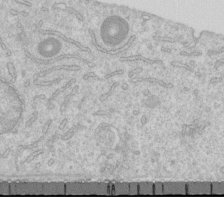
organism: Human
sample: Centriole in RPE cells